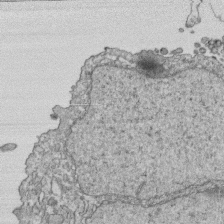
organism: Human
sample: HeLa cell HIV synapse